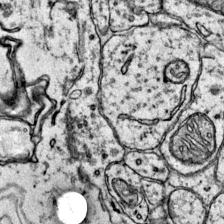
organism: Mouse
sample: Primary visual cortex